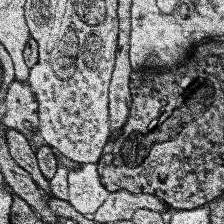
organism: Human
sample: Temporal Lobe